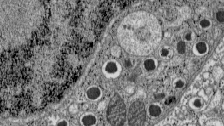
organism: C57BL Mouse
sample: Pancreatic islet